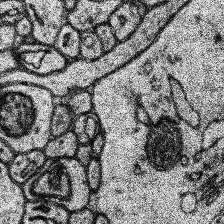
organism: Human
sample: Temporal Lobe